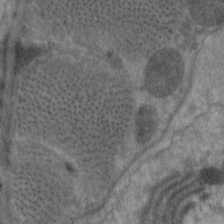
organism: C. elegans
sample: Pharynx